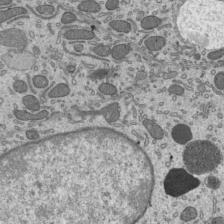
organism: Mouse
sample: Mouse epididymis efferent ductule cilia